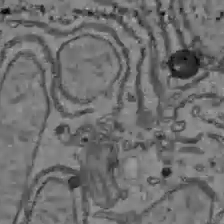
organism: C57BL Mouse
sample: Liver